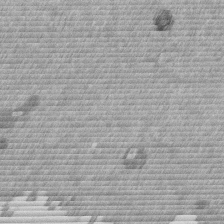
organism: Mouse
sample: Dividing mouse embryo 1 cell stage